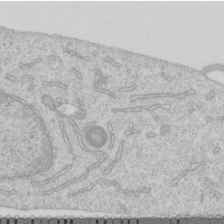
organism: Human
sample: Centriole in RPE cells